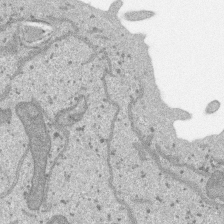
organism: Human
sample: Lung epithelial cells infected with SARS-CoV-2